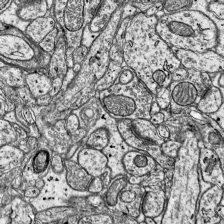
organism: Mouse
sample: Visual Cortex